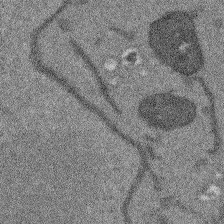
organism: Arabidopsis thaliana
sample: Root tip